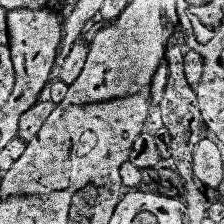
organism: Human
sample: Temporal Lobe